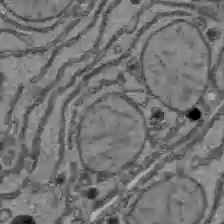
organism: C57BL Mouse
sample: Liver